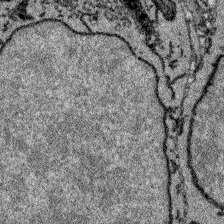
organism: Zebrafish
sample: Larval olfactory bulb